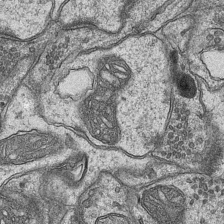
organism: Mouse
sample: CA1 Hippocampus